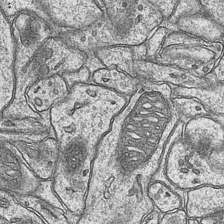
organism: Mouse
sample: CA1 Hippocampus